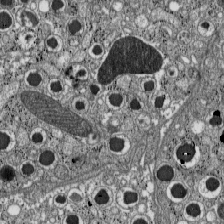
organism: C57BL Mouse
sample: Pancreatic islet